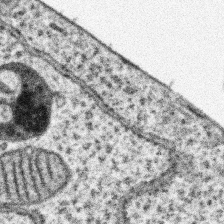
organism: Human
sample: HeLa cells